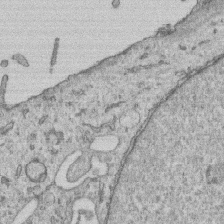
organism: Human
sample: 1205lu cells